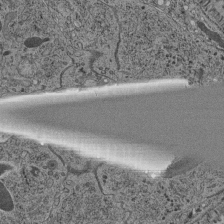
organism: C. elegans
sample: C. elegans pharynx